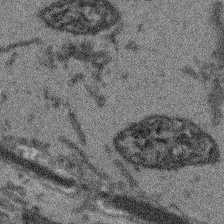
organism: Arabidopsis thaliana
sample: Root tip